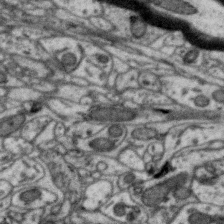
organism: Zebra finch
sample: Brain